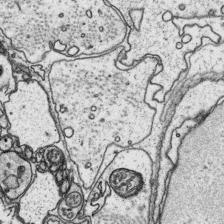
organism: Platynereis dumerilii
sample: Parapodia